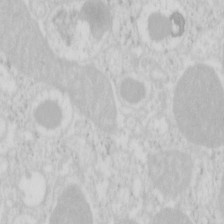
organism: Mouse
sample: Pancreas